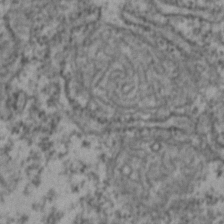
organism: Zebrafish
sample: Zebrafish embryo